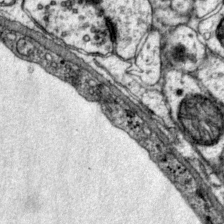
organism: Mouse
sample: Primary visual cortex